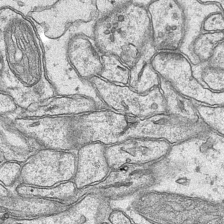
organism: Mouse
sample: CA1 Hippocampus